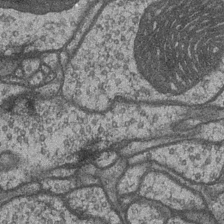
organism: Drosophila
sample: Optic medulla